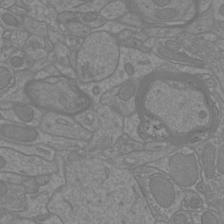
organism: Mouse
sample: Cortical neurons